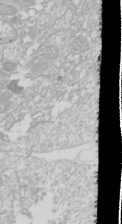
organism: Drosophila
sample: Cell division; meiosis; drosophila spermatocytes